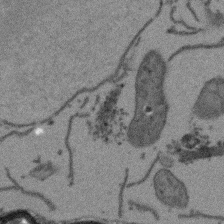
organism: Arabidopsis thaliana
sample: Root tip